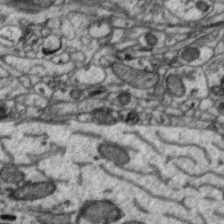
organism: Zebra finch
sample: Brain